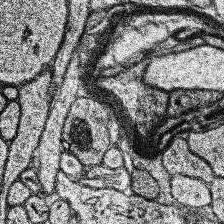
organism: Human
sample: Temporal Lobe